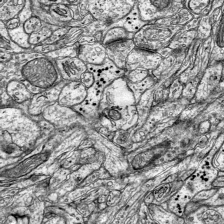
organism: Mouse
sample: Visual Cortex